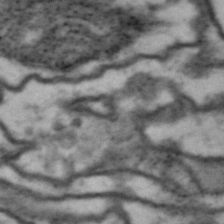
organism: Drosophila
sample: Brain